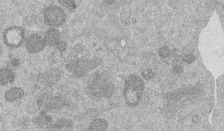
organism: Mouse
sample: Dividing mouse embryo 1 cell stage